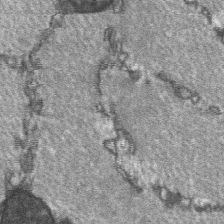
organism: C57BL Mouse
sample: Soleus